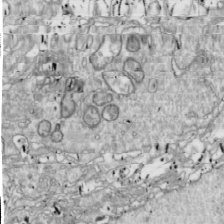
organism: Drosophila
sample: Cell division; meiosis; drosophila spermatocytes